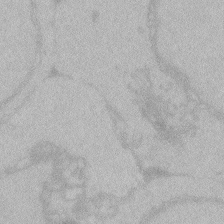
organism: Zebrafish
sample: Macrophage infected with Toxoplasma gondii